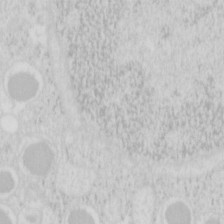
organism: Mouse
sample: Pancreas